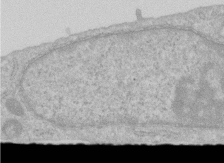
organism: Human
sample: Centriole in RPE cells